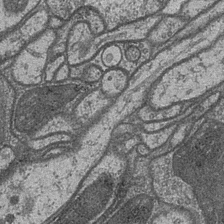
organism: Drosophila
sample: Optic medulla